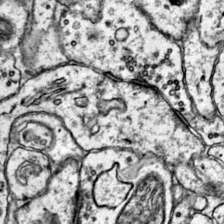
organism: Mouse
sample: Primary visual cortex